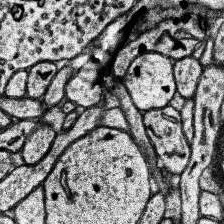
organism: Human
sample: Temporal Lobe